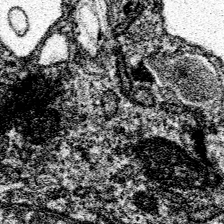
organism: Spongilla lacustris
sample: Neuroid cell